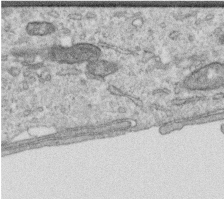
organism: Human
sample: Centriole in RPE cells